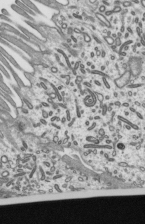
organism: Mouse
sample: Mouse epididymis efferent ductule cilia